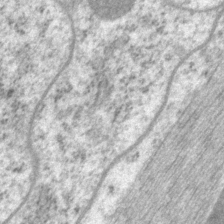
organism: P. pacificus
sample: Pharynx